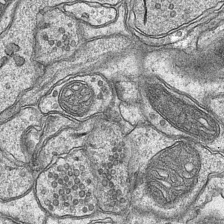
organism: Mouse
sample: CA1 Hippocampus